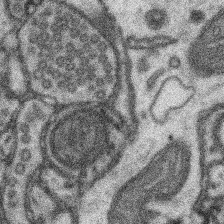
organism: Mouse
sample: Somatosensory cortex neuropil